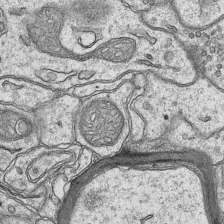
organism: Mouse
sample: CA1 Hippocampus